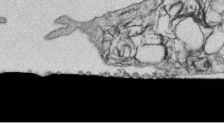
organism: Human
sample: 1205lu cells